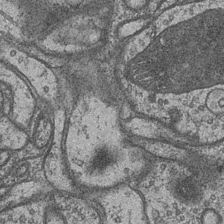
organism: Drosophila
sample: Optic medulla